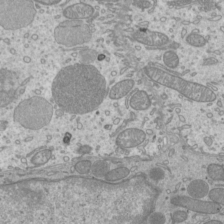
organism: Mouse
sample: Cilia; mouse epididymis